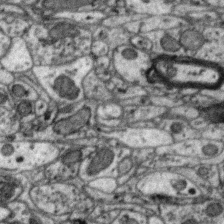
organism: Zebra finch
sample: Brain